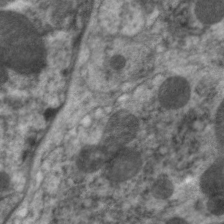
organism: C. elegans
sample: Pharynx